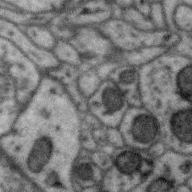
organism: Zebra finch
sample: Brain